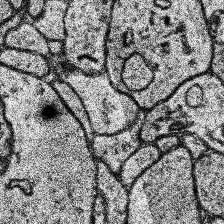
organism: Human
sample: Temporal Lobe